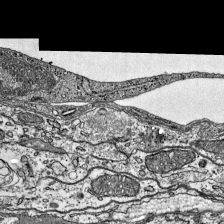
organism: Mouse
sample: Visual Cortex